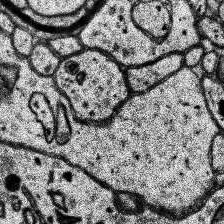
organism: Human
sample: Temporal Lobe